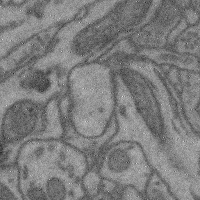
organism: Mouse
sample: Cerebral cortex